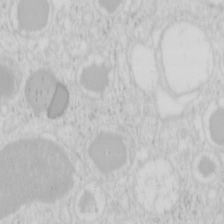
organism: Mouse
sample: Pancreas